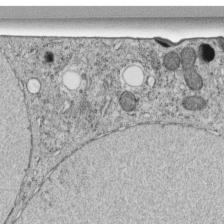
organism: C. elegans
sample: C. elegans embryo early stage